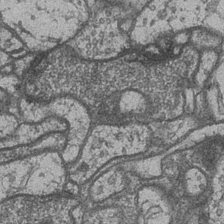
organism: Drosophila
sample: Optic medulla